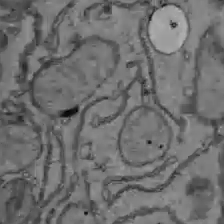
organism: C57BL Mouse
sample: Liver